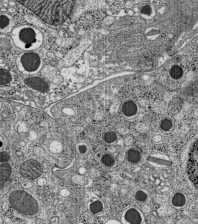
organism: C57BL Mouse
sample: Pancreatic islet